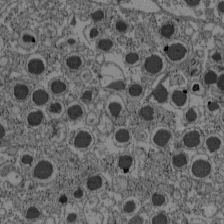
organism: C57BL Mouse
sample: Pancreatic islet